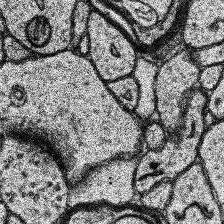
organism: Human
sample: Temporal Lobe